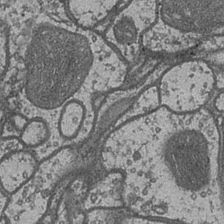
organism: Drosophila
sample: Optic medulla